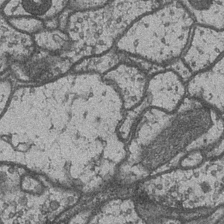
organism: Drosophila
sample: Optic medulla